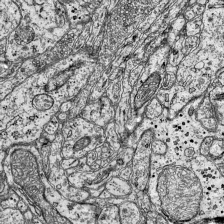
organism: Mouse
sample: Visual Cortex